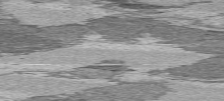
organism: C57BL Mouse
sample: Heart